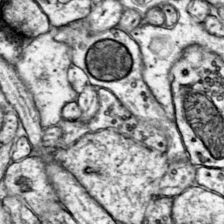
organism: Mouse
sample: Primary visual cortex